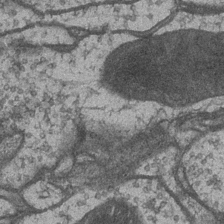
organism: Drosophila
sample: Optic medulla